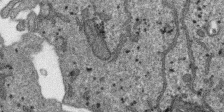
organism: Human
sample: Lung epithelial cells infected with SARS-CoV-2